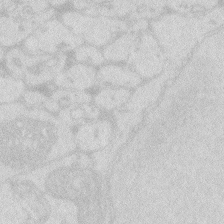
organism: Zebrafish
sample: Macrophage